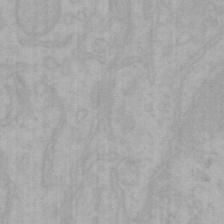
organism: Mouse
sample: Choroid plexus